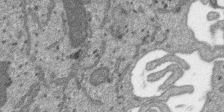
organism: Human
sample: Lung epithelial cells infected with SARS-CoV-2